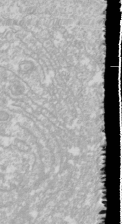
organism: Drosophila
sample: Cell division; meiosis; drosophila spermatocytes